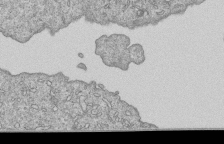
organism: Human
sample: MDA-MB-231 cells